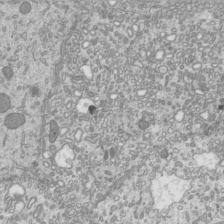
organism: Mouse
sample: Cilia; mouse epididymis